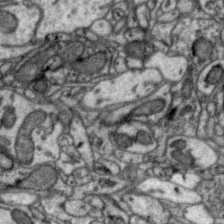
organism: Zebra finch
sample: Brain